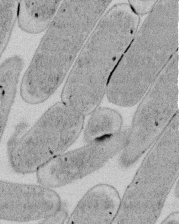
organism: E. coli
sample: Bacterial nucleoid